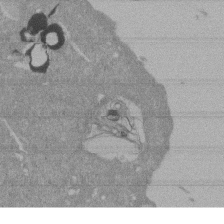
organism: Mouse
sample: ED-1 cell nuclei; centrioles